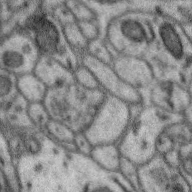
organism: Zebra finch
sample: Brain